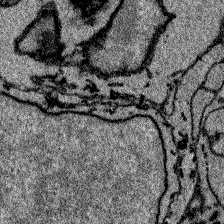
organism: Zebrafish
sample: Larval olfactory bulb